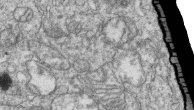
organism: Human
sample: HeLa cell HIV synapse